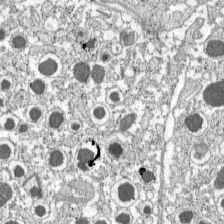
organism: C57BL Mouse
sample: Pancreatic islet